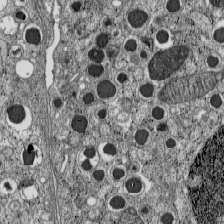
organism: C57BL Mouse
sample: Pancreatic islet